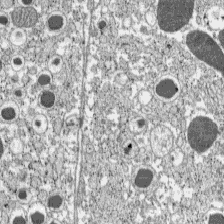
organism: C57BL Mouse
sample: Pancreatic islet